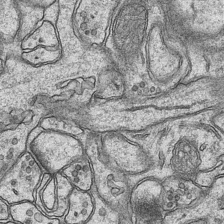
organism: Mouse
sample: CA1 Hippocampus